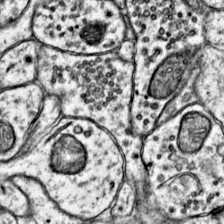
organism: Mouse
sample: Primary visual cortex